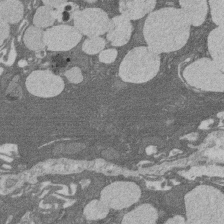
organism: Rat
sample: Salivary granule